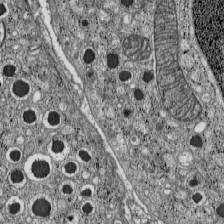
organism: C57BL Mouse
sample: Pancreatic islet